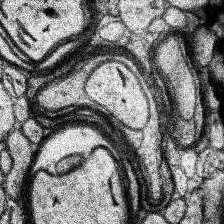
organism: Human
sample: Temporal Lobe